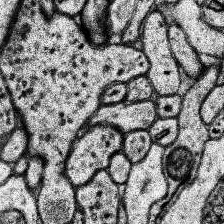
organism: Human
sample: Temporal Lobe